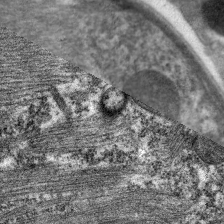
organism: C. elegans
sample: Pharynx